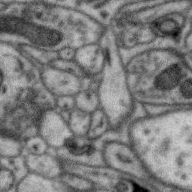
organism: Zebra finch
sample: Brain